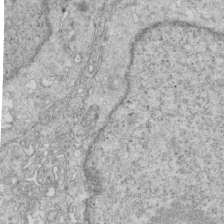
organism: Mouse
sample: Multiciliated cells